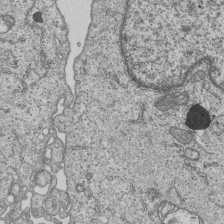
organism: Human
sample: MDA-MB-231 cells